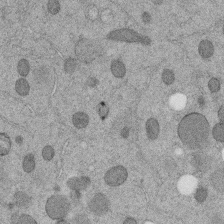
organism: C. elegans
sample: C. elegans embryo early stage